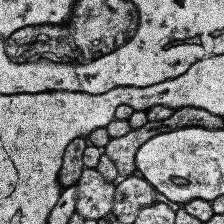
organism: Human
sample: Temporal Lobe